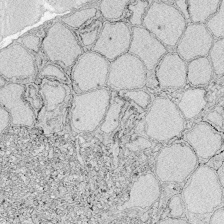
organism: Zebrafish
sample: Whole-Brain